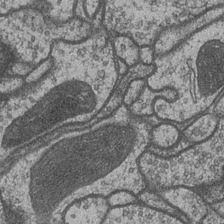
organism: Drosophila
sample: Optic medulla